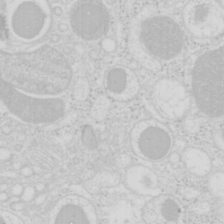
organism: Mouse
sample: Pancreas